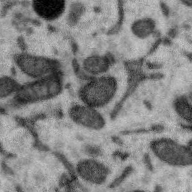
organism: Zebra finch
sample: Brain